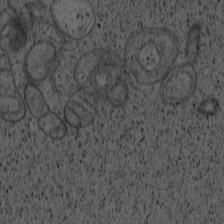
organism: African green monkey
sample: COS-7 cells